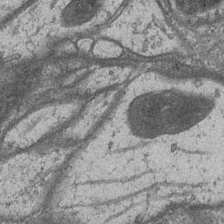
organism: Drosophila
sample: Optic medulla